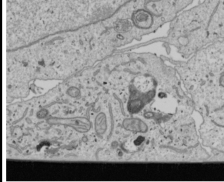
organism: Human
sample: Mitochondria in U2OS cells